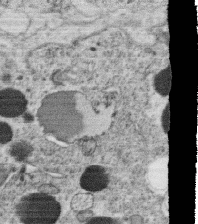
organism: C. elegans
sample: C. elegans oocyte; sperm cells